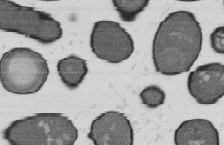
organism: B. subtilis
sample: Bacterial spore